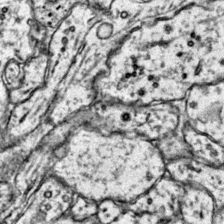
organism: Mouse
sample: Primary visual cortex